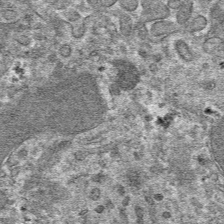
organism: Mouse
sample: Mouse hepatocytes